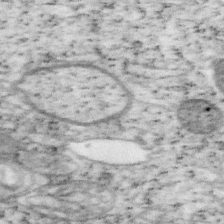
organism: Mouse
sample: OT-I killer T cells with ID8 ovarian cancer cells